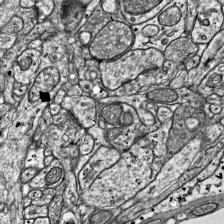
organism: Mouse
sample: Visual Cortex